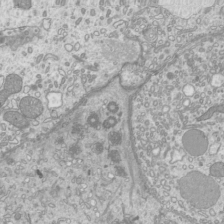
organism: Mouse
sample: Cilia; mouse epididymis